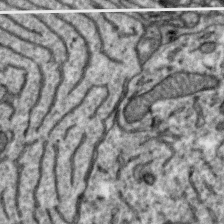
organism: Zebra finch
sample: Brain